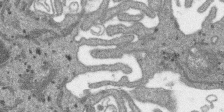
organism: Human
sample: Lung epithelial cells infected with SARS-CoV-2